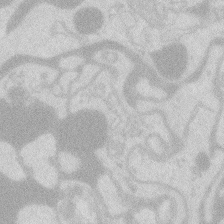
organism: Zebrafish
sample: Macrophage